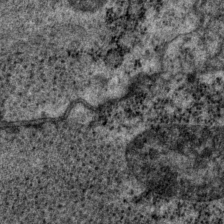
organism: P. pacificus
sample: Pharynx